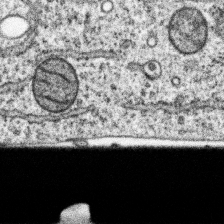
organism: Human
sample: HeLa cells